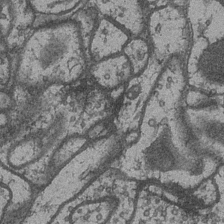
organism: Drosophila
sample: Optic medulla